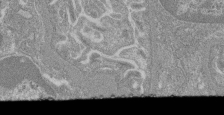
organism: Mouse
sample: Glomerulus